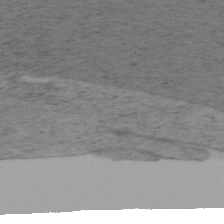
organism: Mouse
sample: OT-I killer T cells with ID8 ovarian cancer cells